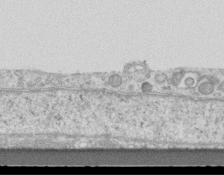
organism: Mouse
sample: Centriole in ependymal cells